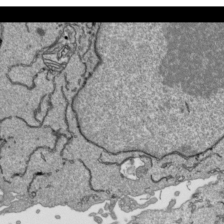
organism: Human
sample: Mitochondria in HCT116 cells